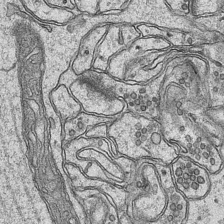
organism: Mouse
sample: CA1 Hippocampus